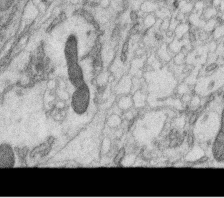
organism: C. elegans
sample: C. elegans oocyte; sperm cells